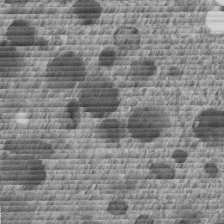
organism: C. elegans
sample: C. elegans embryo early stage